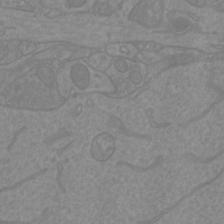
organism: Mouse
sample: Cortical neurons